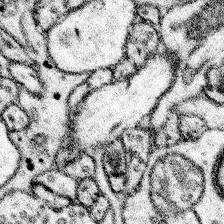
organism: Mouse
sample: Somatosensory cortex neuropil